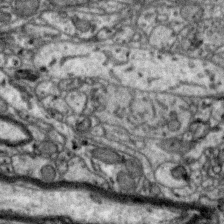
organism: Zebra finch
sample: Brain